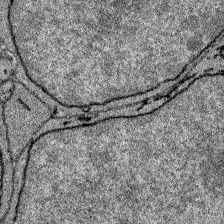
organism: Zebrafish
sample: Larval olfactory bulb